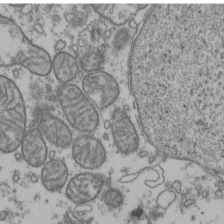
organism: Human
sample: Activated Jurkat CD4+ T cells